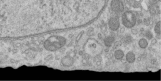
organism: Human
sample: Centriole in RPE cells